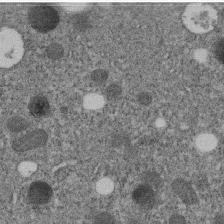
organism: C. elegans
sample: C. elegans embryo early stage